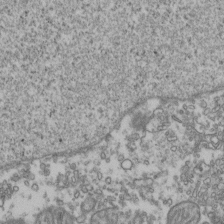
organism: Human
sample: Activated Jurkat CD4+ T cells